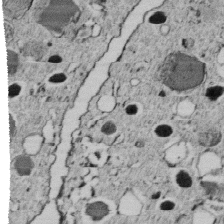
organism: C. elegans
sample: C. elegans embryo early stage